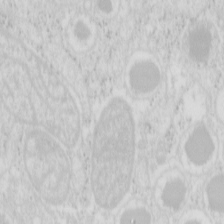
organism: Mouse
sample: Pancreas